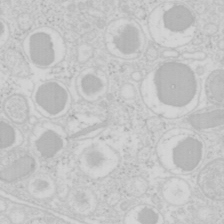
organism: Mouse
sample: Pancreas